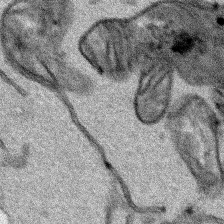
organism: Human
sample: Mitochondria in HCT116 cells